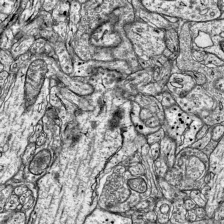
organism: Mouse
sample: Visual Cortex